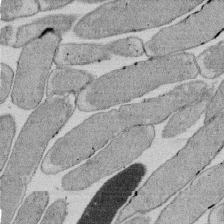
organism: E. coli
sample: Bacterial nucleoid